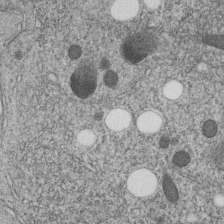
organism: C. elegans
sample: C. elegans embryo early stage